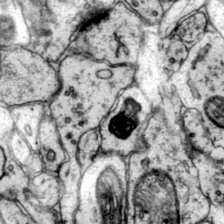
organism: Mouse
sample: Primary visual cortex